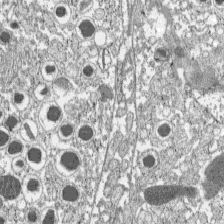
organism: C57BL Mouse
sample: Pancreatic islet